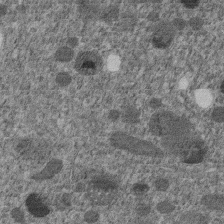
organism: C. elegans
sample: C. elegans embryo early stage